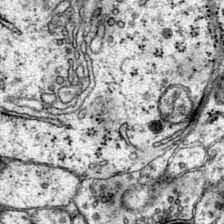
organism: Mouse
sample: Primary visual cortex